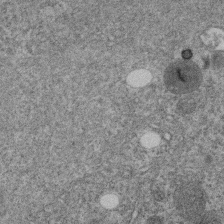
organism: C. elegans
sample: C. elegans embryo early stage